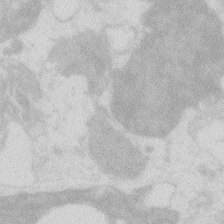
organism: Zebrafish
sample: Macrophage